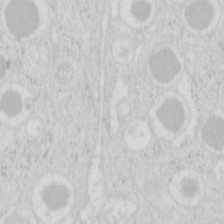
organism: Mouse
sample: Pancreas